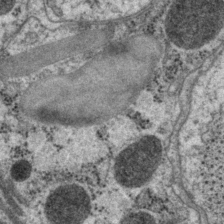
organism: P. pacificus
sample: Pharynx